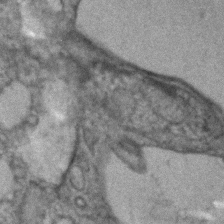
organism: Human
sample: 1205lu cells